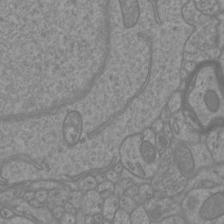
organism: Mouse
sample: Cortical neurons